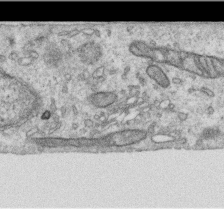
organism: Human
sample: Centriole in RPE cells